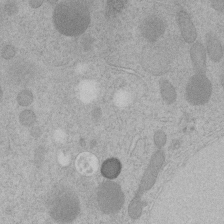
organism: C. elegans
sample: C. elegans embryo early stage